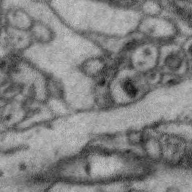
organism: Zebra finch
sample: Brain